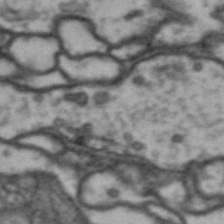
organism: Drosophila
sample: Brain